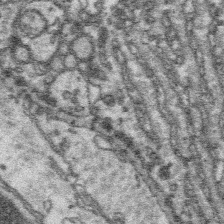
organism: Platynereis dumerilii